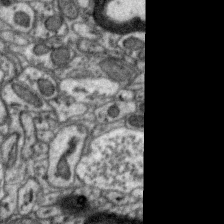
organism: Zebra finch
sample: Brain